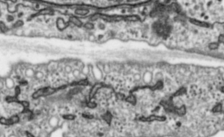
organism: Toxoplasma gondii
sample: Parasites in a vacuole inside a host cell